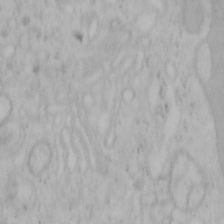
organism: Mouse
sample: OT-I killer T cells with ID8 ovarian cancer cells